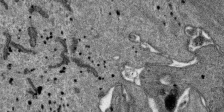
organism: Human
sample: Lung epithelial cells, uninfected (mock) control